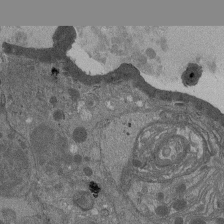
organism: Drosophila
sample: Antenna